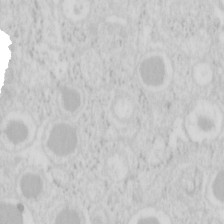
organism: Mouse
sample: Pancreas